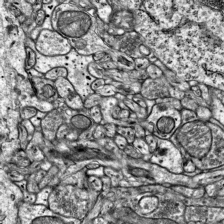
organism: Mouse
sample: Visual Cortex